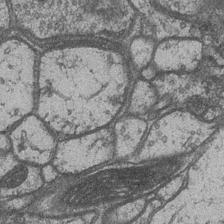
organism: Drosophila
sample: Optic medulla